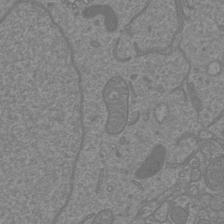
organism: Mouse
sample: Cortical neurons